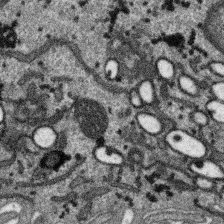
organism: Human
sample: Lung epithelial cells infected with SARS-CoV-2